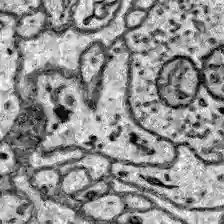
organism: Zebrafish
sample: Brain